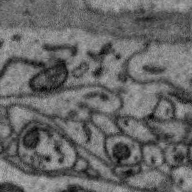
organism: Zebra finch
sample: Brain